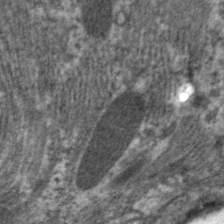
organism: C. elegans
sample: Pharynx